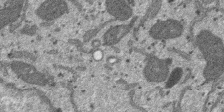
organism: Human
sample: Lung epithelial cells infected with SARS-CoV-2